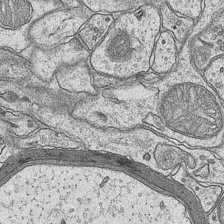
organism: Mouse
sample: CA1 Hippocampus